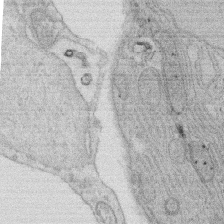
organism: Rat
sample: Salivary granule